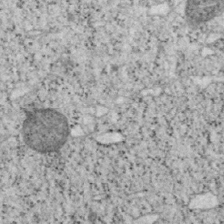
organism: Mouse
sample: OT-I killer T cells with ID8 ovarian cancer cells